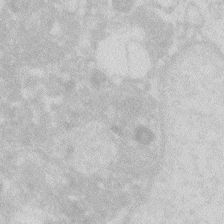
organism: Zebrafish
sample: Macrophage